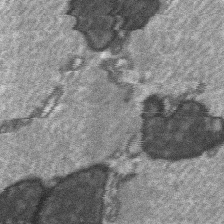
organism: C57BL Mouse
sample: Soleus